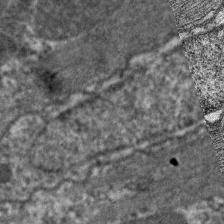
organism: C. elegans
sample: Pharynx